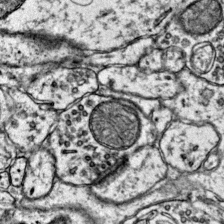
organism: Mouse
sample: Primary visual cortex